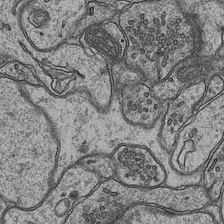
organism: Mouse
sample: CA1 Hippocampus